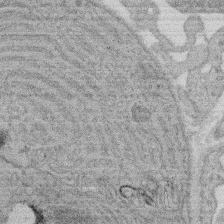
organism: Rat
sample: Salivary granule